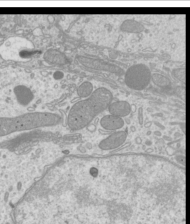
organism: Mouse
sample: Cilia; mouse epididymis